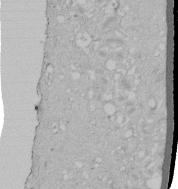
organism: Human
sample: Melanocyte Keratinocyte synapse skin construct